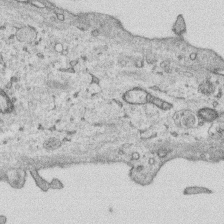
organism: Human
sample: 1205lu cells